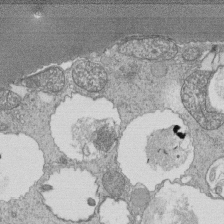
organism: Tetrahymena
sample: Cilia in tetrahymena